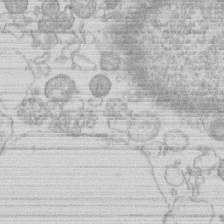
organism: Human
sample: Macrophage cells